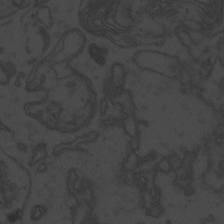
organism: Zebrafish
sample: Macrophage infected with Toxoplasma gondii